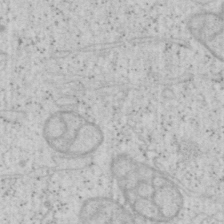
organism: Human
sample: HeLa cells